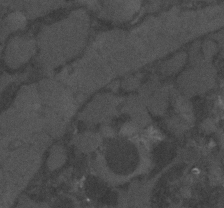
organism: C. elegans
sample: C. elegans embryo